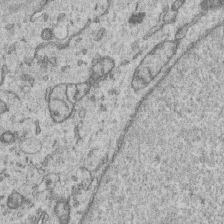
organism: Human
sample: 1205lu cells